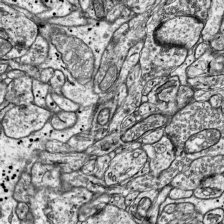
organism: Mouse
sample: Visual Cortex